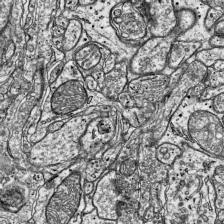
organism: Mouse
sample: Visual Cortex